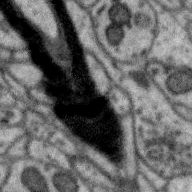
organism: Zebra finch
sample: Brain